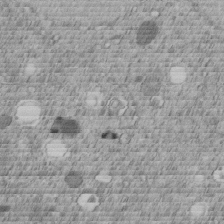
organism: C. elegans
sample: C. elegans embryo early stage